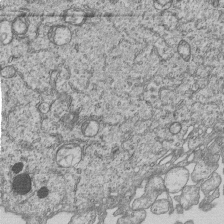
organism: Human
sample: MDA-MB-231 cells